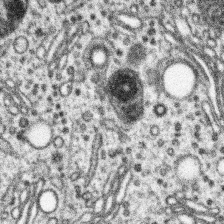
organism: Human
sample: HeLa cells